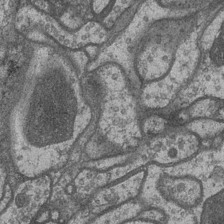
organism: Drosophila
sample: Optic medulla